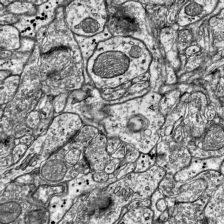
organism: Mouse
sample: Visual Cortex